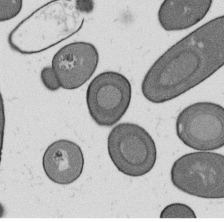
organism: B. subtilis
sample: Bacterial spore